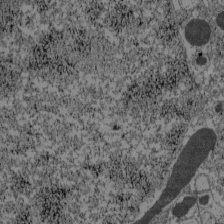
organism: C57BL Mouse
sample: Pancreatic islet